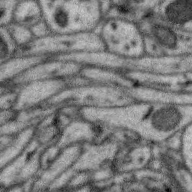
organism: Zebra finch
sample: Brain